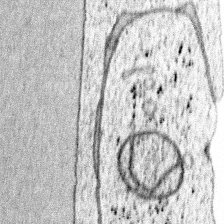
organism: Human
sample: HeLa cells